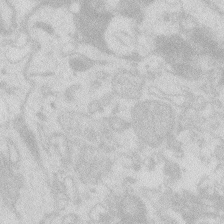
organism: Zebrafish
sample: Macrophage